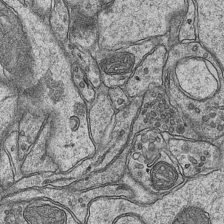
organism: Mouse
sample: CA1 Hippocampus